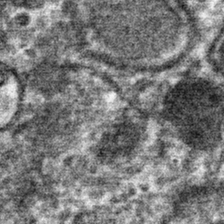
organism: Mouse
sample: Mouse hepatocytes